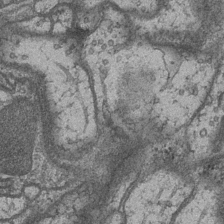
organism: Drosophila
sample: Optic medulla